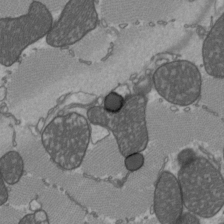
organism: C57BL Mouse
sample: Heart